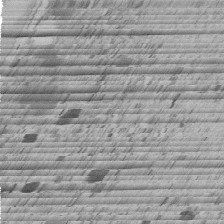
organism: C. elegans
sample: C. elegans embryo early stage